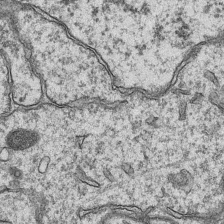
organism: Mouse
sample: CA1 Hippocampus